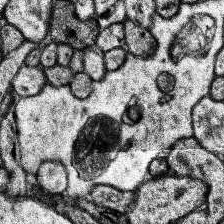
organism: Human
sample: Temporal Lobe